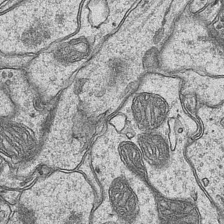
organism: Mouse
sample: CA1 Hippocampus